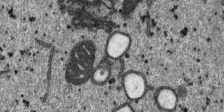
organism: Human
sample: Lung epithelial cells infected with SARS-CoV-2